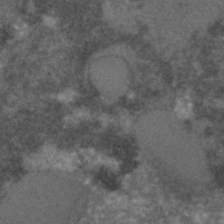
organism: C. elegans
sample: C. elegans embryo